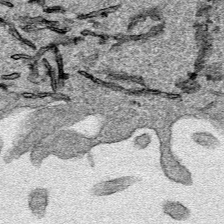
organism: Human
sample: Mitochondria in HCT116 cells